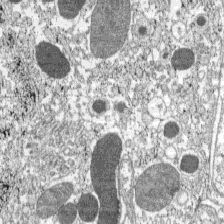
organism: C57BL Mouse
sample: Pancreatic islet